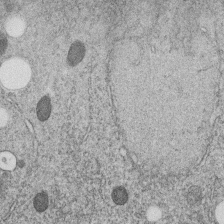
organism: C. elegans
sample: C. elegans embryo early stage